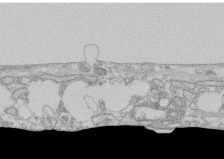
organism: Human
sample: CRL-1474